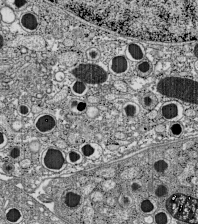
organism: C57BL Mouse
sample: Pancreatic islet